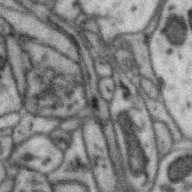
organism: Zebra finch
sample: Brain